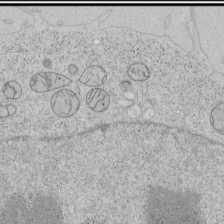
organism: Human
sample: Mitochondria in HCT116 cells